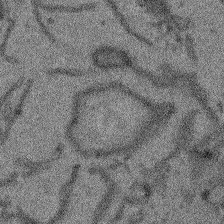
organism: Arabidopsis thaliana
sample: Root tip